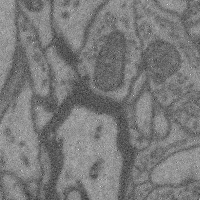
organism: Mouse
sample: Cerebral cortex